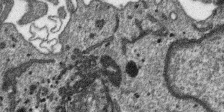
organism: Human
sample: Lung epithelial cells infected with SARS-CoV-2